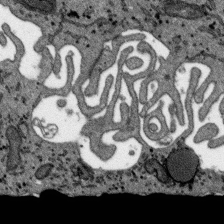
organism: Human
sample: Lung epithelial cells, uninfected (mock) control